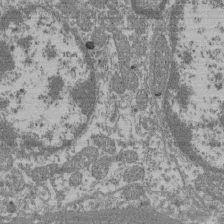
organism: Mouse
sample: Glomerulus